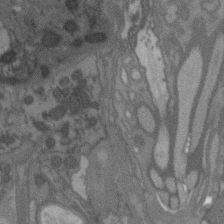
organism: C. elegans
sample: AFD neurons C. elegans